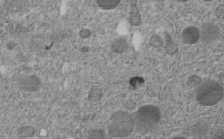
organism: C. elegans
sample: C. elegans embryo early stage